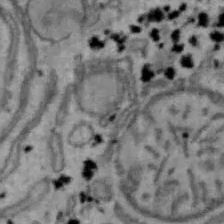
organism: Mouse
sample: Liver